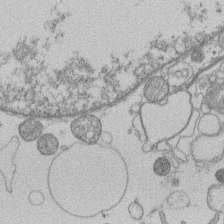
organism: Human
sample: Macrophage cells